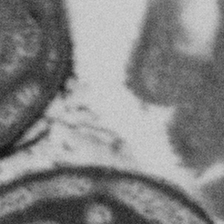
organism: Gemmata obscuriglobus